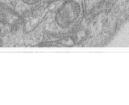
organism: Human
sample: Centriole in RPE cells